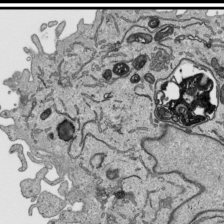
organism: Human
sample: Mitochondria in HCT116 cells